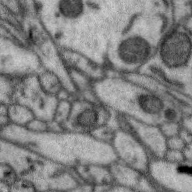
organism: Zebra finch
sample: Brain